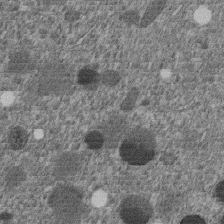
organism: C. elegans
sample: C. elegans embryo early stage